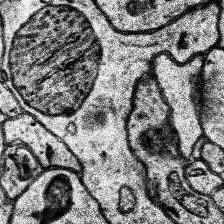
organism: Human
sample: Temporal Lobe